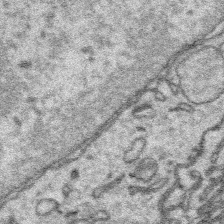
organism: Platynereis dumerilii